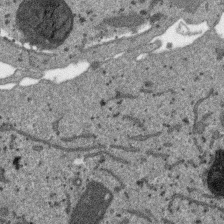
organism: Human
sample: Lung epithelial cells infected with SARS-CoV-2